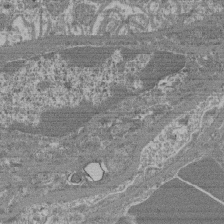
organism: Mouse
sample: Glomerulus